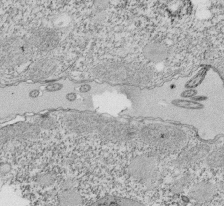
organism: Tetrahymena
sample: Cilia in tetrahymena